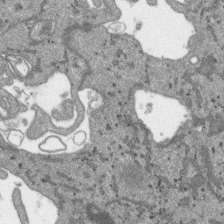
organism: Human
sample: Lung epithelial cells infected with SARS-CoV-2